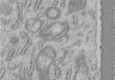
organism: Human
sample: Centriole in RPE cells